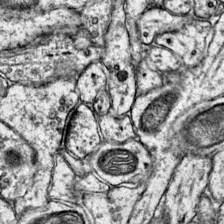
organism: Mouse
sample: Primary visual cortex